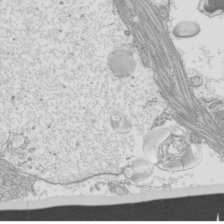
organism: Mouse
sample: Cilia; mouse epididymis